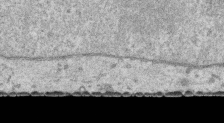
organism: Human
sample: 1205lu cells